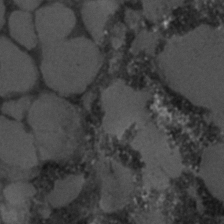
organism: C. elegans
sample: C. elegans embryo